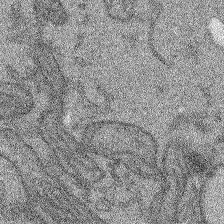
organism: Human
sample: HeLa cells